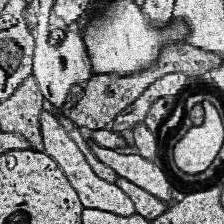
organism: Human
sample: Temporal Lobe